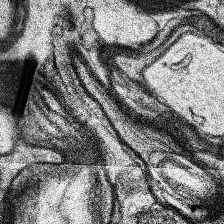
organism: Human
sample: Temporal Lobe